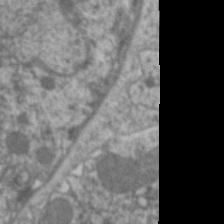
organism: C. elegans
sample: Pharynx